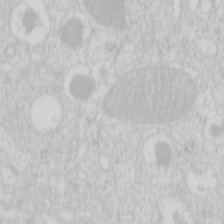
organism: Mouse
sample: Pancreas